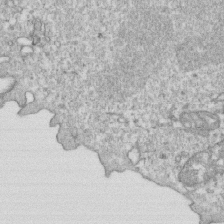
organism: Mouse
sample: Activated OT-1 CD8+ T cells